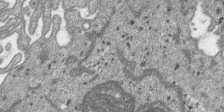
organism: Human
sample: Lung epithelial cells infected with SARS-CoV-2